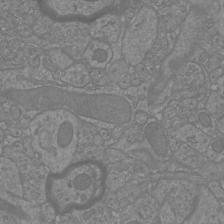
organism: Mouse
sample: Cortical neurons